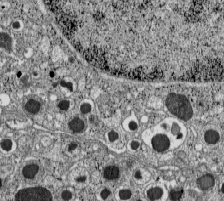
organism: C57BL Mouse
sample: Pancreatic islet